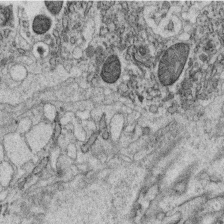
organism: C. elegans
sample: C. elegans oocyte; sperm cells